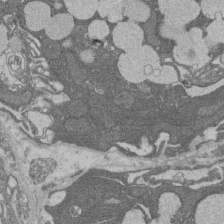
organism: Rat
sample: Salivary granule